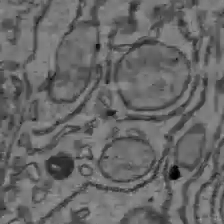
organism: C57BL Mouse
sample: Liver